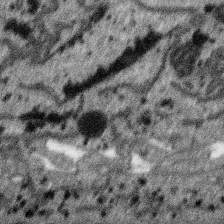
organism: Human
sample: Lung epithelial cells infected with SARS-CoV-2